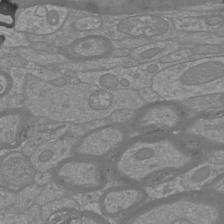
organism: Mouse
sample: Cortical neurons